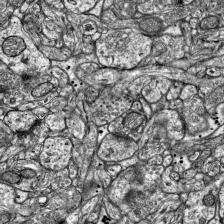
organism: Mouse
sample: Visual Cortex